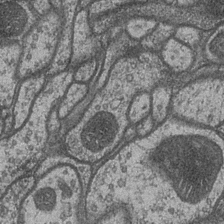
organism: Drosophila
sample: Optic medulla